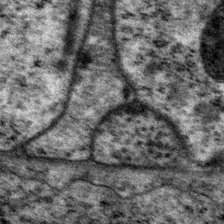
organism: P. pacificus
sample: Pharynx